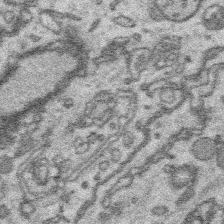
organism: Platynereis dumerilii